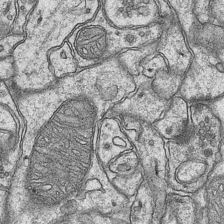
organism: Mouse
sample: CA1 Hippocampus